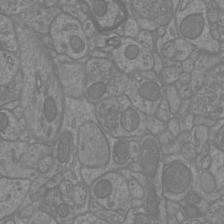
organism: Mouse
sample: Cortical neurons